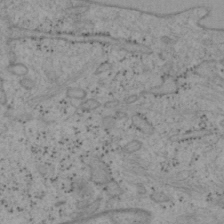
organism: Human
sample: HeLa cells